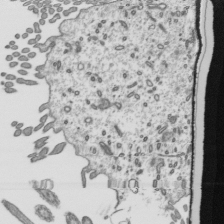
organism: Mouse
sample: Mouse epididymis efferent ductule cilia